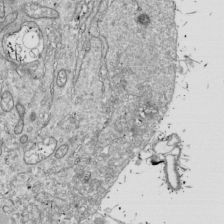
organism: Drosophila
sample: Cell division; meiosis; drosophila spermatocytes